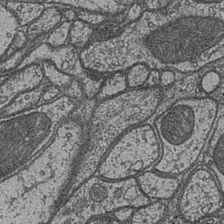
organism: Drosophila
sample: Optic medulla